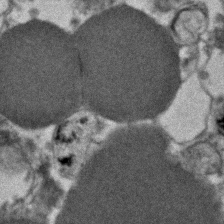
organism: Human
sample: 1205lu cells